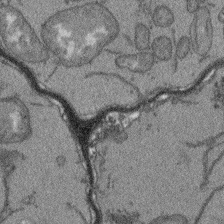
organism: Arabidopsis thaliana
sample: Root tip